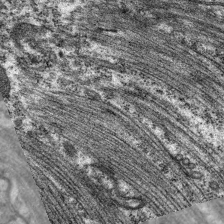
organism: C. elegans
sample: Pharynx